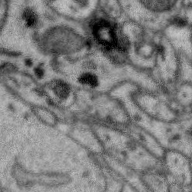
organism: Zebra finch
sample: Brain